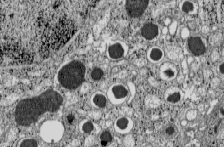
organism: C57BL Mouse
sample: Pancreatic islet